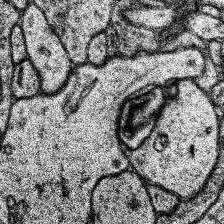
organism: Human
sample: Temporal Lobe